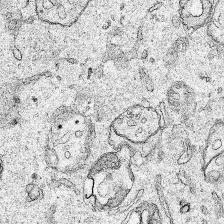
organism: Human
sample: Mitochondria in HCT116 cells